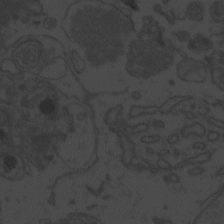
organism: Zebrafish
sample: Macrophage infected with Toxoplasma gondii